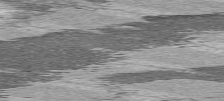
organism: C57BL Mouse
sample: Heart